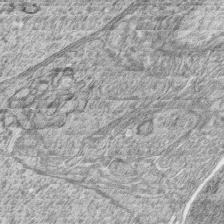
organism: Zebrafish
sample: synaptic ribbons in rod cells and cone cells